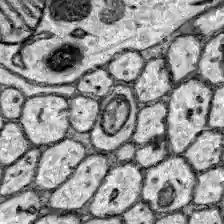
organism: Zebrafish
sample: Brain